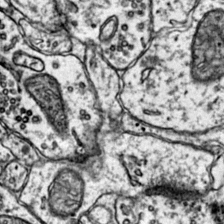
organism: Mouse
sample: Primary visual cortex